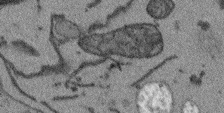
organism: Arabidopsis thaliana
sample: Root tip